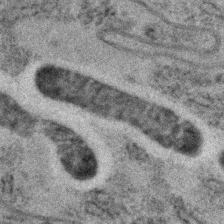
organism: C. elegans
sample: C. elegans embryo